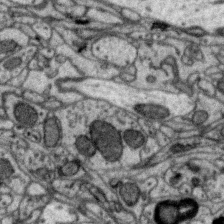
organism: Zebra finch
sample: Brain